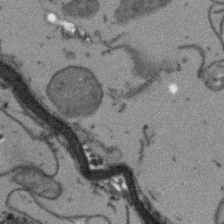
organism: Arabidopsis thaliana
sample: Root tip